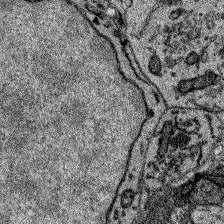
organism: Zebrafish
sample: Larval olfactory bulb